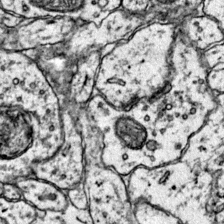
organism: Mouse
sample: Primary visual cortex